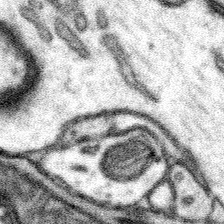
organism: Mouse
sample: Somatosensory cortex neuropil